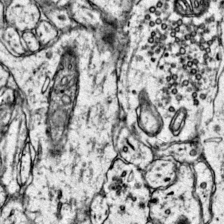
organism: Mouse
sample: Primary visual cortex